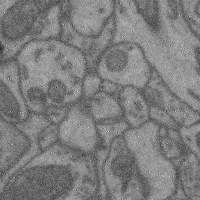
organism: Mouse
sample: Cerebral cortex